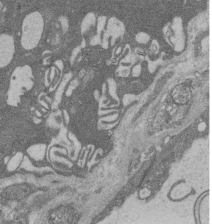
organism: Rat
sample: Salivary granule